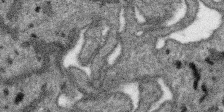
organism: Human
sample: Lung epithelial cells infected with SARS-CoV-2